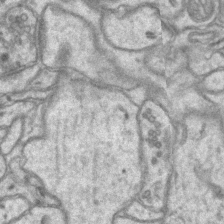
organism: Mouse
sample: CA1 Hippocampus